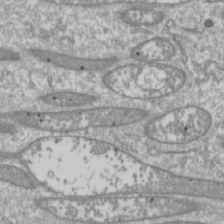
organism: Drosophila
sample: Cell division; meiosis; drosophila spermatocytes